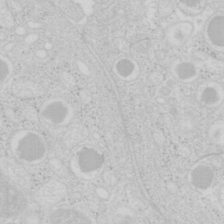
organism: Mouse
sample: Pancreas